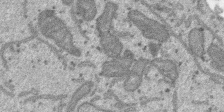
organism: Human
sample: Lung epithelial cells infected with SARS-CoV-2